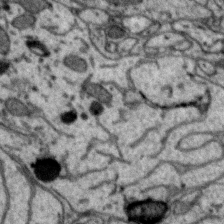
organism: Zebra finch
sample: Brain